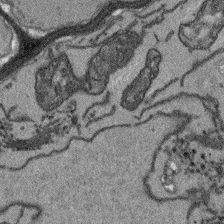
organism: Arabidopsis thaliana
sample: Root tip